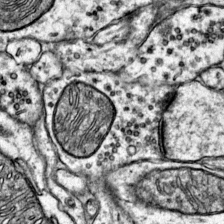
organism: Mouse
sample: Primary visual cortex